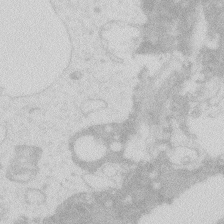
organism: Zebrafish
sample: Macrophage